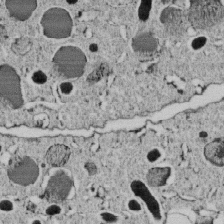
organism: C. elegans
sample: C. elegans embryo early stage